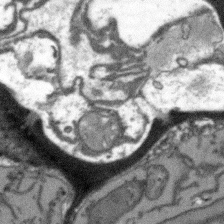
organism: Arabidopsis thaliana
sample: Root tip